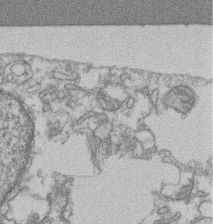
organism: Mouse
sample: T cell stromal cell synapse